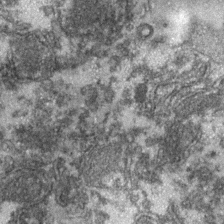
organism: Zebrafish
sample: Zebrafish embryo